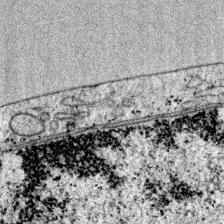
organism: Human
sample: HeLa cells